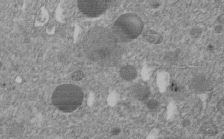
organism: C. elegans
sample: C. elegans embryo early stage